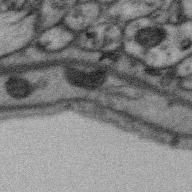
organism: Zebra finch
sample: Brain